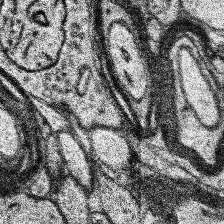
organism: Human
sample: Temporal Lobe